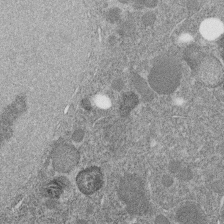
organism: C. elegans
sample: C. elegans embryo early stage